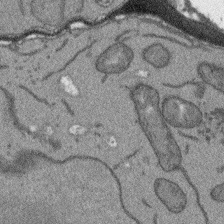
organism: Arabidopsis thaliana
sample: Root tip